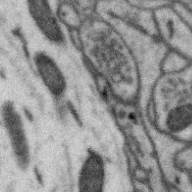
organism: Zebra finch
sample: Brain